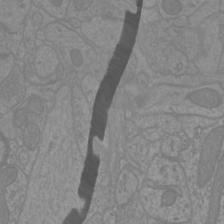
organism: Mouse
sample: Cortical neurons